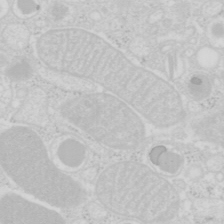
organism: Mouse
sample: Pancreas